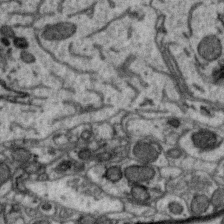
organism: Zebra finch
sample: Brain